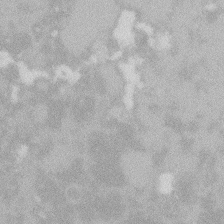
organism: Zebrafish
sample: Macrophage